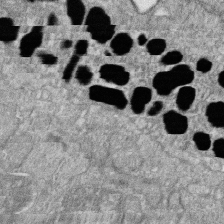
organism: Zebrafish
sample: Cilia; retinal pigment epithelium